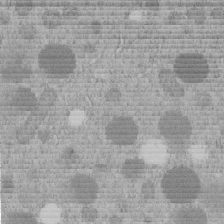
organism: C. elegans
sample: C. elegans embryo early stage